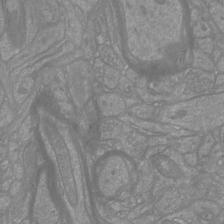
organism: Mouse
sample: Cortical neurons